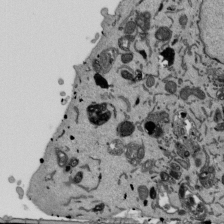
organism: Mouse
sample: ED-1 cell nuclei; centrioles